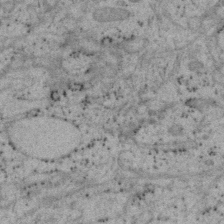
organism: Human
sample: HeLa cells